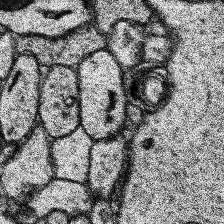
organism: Human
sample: Temporal Lobe